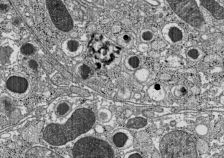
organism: C57BL Mouse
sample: Pancreatic islet